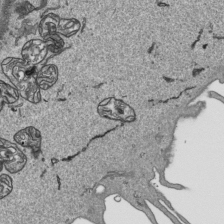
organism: Human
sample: Mitochondria in HCT116 cells